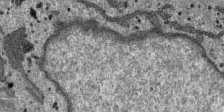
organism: Human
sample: Lung epithelial cells, uninfected (mock) control